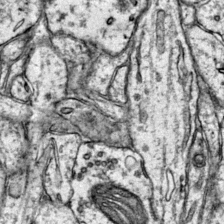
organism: Mouse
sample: Primary visual cortex